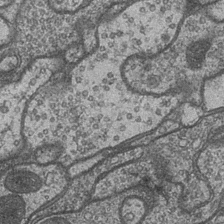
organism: Drosophila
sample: Optic medulla